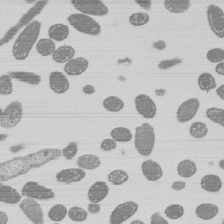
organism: E. coli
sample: Bacterial nucleoid